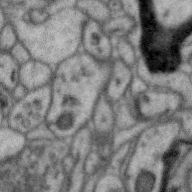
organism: Zebra finch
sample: Brain